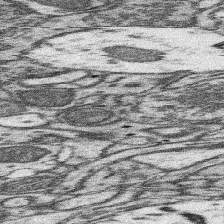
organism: Mouse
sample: Somatosensory cortex neuropil